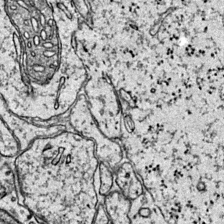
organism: Mouse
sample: Primary visual cortex